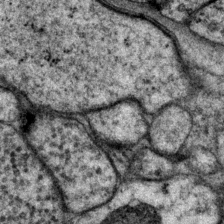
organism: P. pacificus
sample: Pharynx